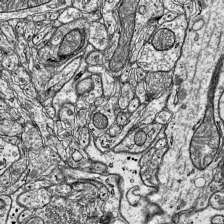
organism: Mouse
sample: Visual Cortex